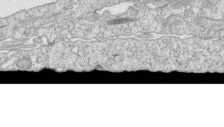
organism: Human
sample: HeLa cell HIV synapse